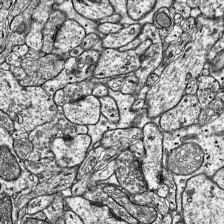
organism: Mouse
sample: Visual Cortex